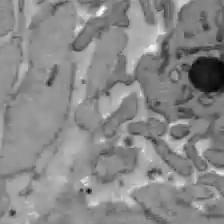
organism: C57BL Mouse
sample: Liver